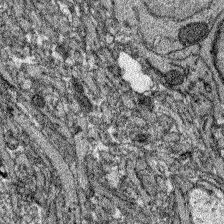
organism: Zebrafish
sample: Larval olfactory bulb